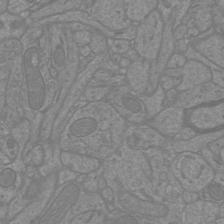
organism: Mouse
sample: Cortical neurons